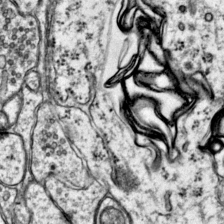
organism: Mouse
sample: Primary visual cortex